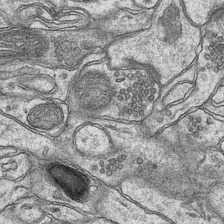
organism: Mouse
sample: CA1 Hippocampus